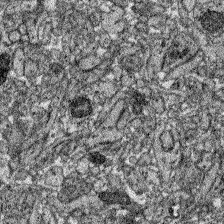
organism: Zebrafish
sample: Larval olfactory bulb